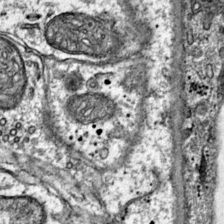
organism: Mouse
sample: Primary visual cortex